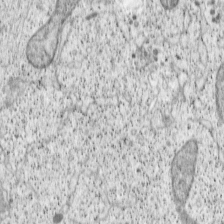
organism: African green monkey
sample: COS-7 cells